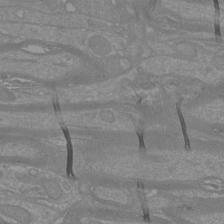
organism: Mouse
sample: Cortical neurons